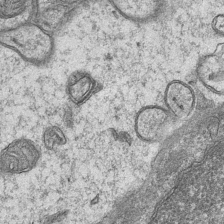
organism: Mouse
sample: CA1 Hippocampus